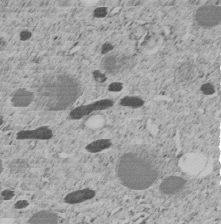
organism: C. elegans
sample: C. elegans embryo early stage